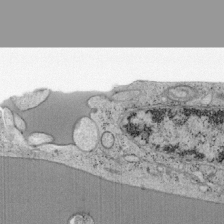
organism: Human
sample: HeLa cells